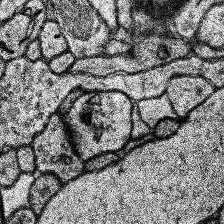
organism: Human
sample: Temporal Lobe